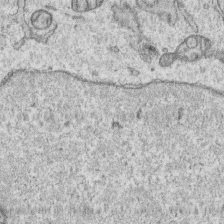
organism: Human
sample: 1205lu cells